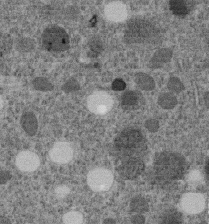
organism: C. elegans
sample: C. elegans embryo early stage